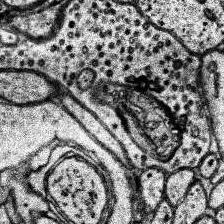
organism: Human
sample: Temporal Lobe